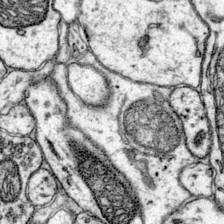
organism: Mouse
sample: Primary visual cortex